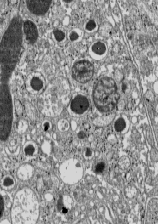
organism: C57BL Mouse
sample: Pancreatic islet